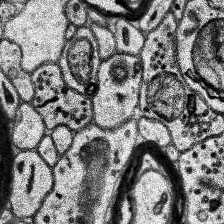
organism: Human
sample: Temporal Lobe